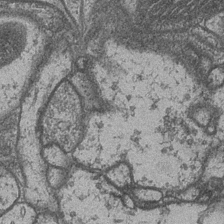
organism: Drosophila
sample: Optic medulla